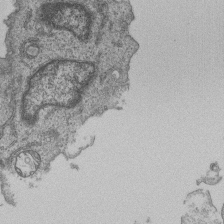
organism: Human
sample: MDA-MB-231 cells